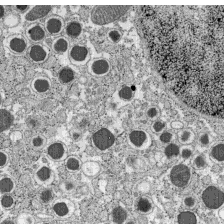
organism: C57BL Mouse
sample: Pancreatic islet